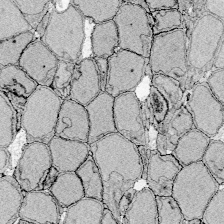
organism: Zebrafish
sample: Whole-Brain